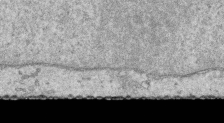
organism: Human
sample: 1205lu cells